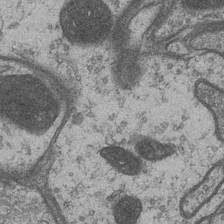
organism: Drosophila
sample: Optic medulla